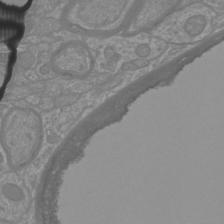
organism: Mouse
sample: Cortical neurons